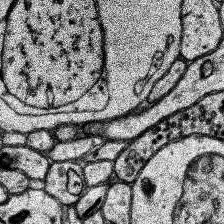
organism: Human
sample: Temporal Lobe